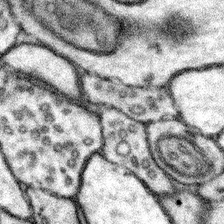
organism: Mouse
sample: Somatosensory cortex neuropil